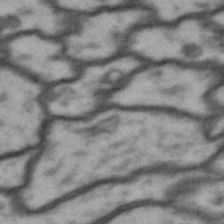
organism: Drosophila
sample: Brain